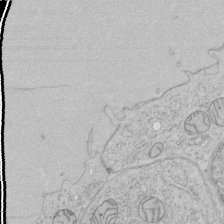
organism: Human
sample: Mitochondria in HCT116 cells